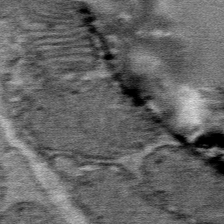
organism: Mouse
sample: Mouse Salivary gland